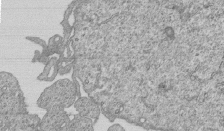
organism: Human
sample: MDA-MB-231 cells